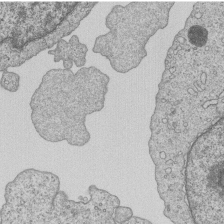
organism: Human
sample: MDA-MB-231 cells